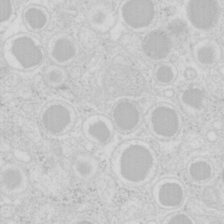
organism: Mouse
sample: Pancreas